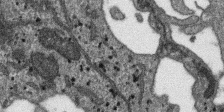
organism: Human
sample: Lung epithelial cells infected with SARS-CoV-2